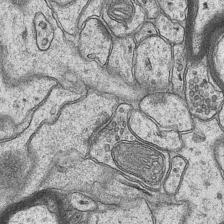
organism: Mouse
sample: CA1 Hippocampus